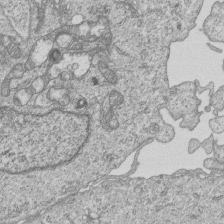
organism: Human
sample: MDA-MB-231 cells